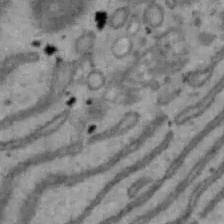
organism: Mouse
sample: Liver